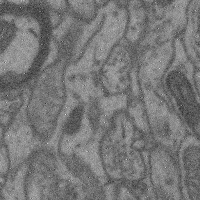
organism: Mouse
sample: Cerebral cortex